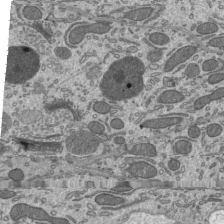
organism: Mouse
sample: Mouse epididymis efferent ductule cilia